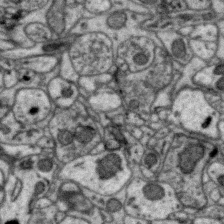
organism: Zebra finch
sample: Brain